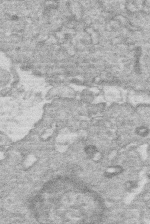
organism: Human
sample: Macrophage cells